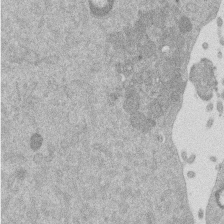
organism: Mouse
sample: Dividing mouse embryo 1 cell stage